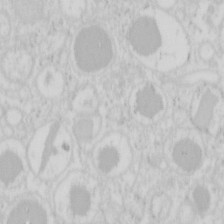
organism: Mouse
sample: Pancreas